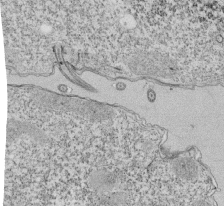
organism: Tetrahymena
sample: Cilia in tetrahymena